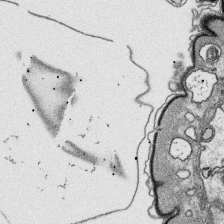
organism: Platynereis dumerilii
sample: Parapodia